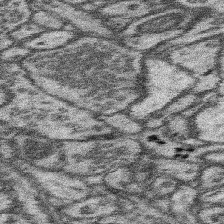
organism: Mouse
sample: Somatosensory cortex neuropil